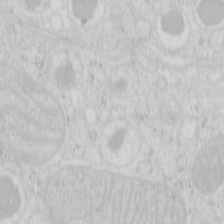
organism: Mouse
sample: Pancreas